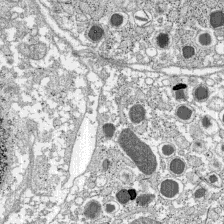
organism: C57BL Mouse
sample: Pancreatic islet